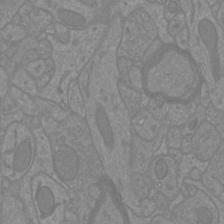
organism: Mouse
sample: Cortical neurons